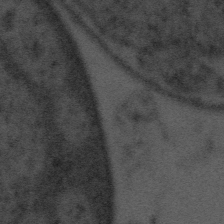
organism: Tuwongella immobilis